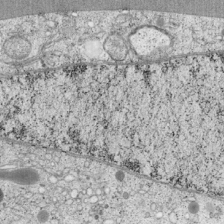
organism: African green monkey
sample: COS-7 cells